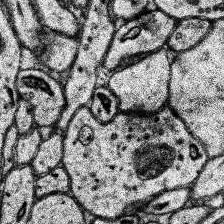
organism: Human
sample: Temporal Lobe